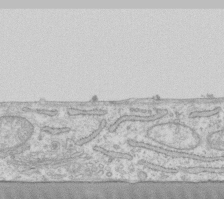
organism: Human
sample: Fibroblast cells